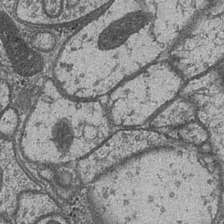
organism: Drosophila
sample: Optic medulla